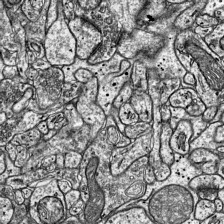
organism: Mouse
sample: Visual Cortex